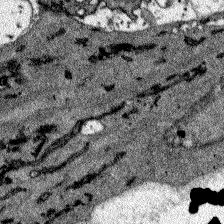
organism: Zebrafish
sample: Larval olfactory bulb